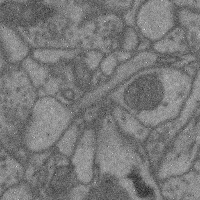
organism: Mouse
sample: Cerebral cortex